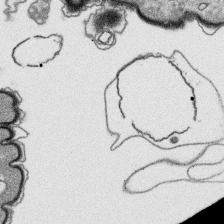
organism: Platynereis dumerilii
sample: Parapodia